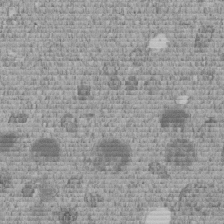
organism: C. elegans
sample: C. elegans embryo early stage